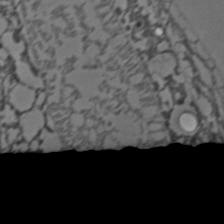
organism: C. elegans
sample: C. elegans embryo